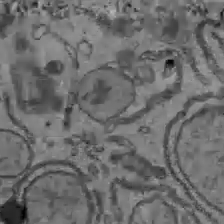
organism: C57BL Mouse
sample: Liver